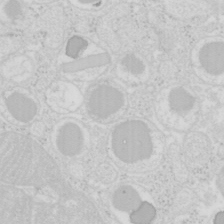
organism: Mouse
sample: Pancreas